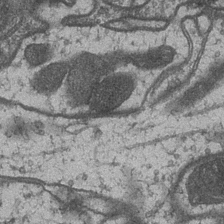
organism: Drosophila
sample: Optic medulla